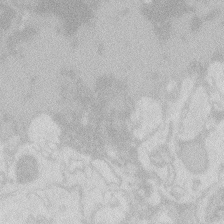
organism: Zebrafish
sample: Macrophage